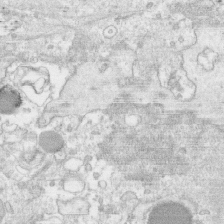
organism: Human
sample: CRL-1474